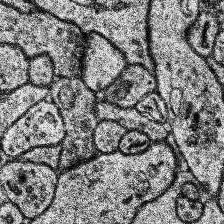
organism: Human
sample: Temporal Lobe